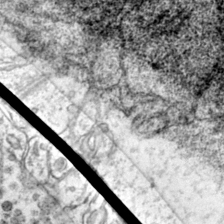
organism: Mouse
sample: Primary visual cortex